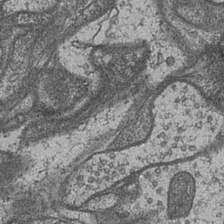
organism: Drosophila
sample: Optic medulla